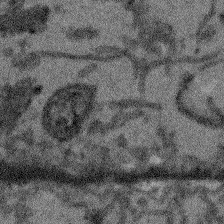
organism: Arabidopsis thaliana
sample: Root tip